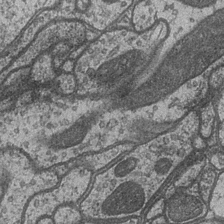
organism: Drosophila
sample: Optic medulla